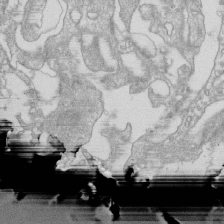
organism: Mouse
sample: Macrophages